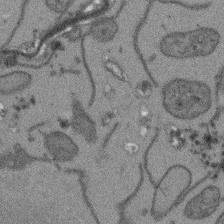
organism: Arabidopsis thaliana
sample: Root tip